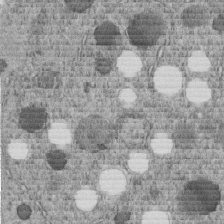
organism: C. elegans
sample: C. elegans embryo early stage